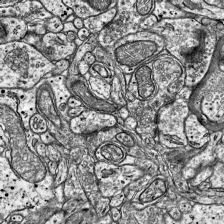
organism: Mouse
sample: Visual Cortex